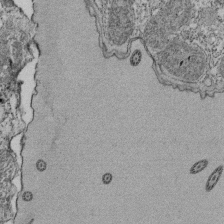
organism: Tetrahymena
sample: Cilia in tetrahymena